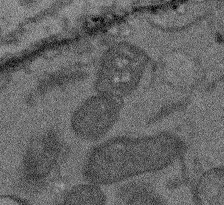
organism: Arabidopsis thaliana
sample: Root tip